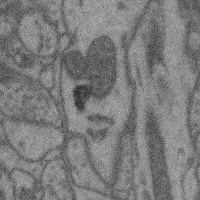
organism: Mouse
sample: Cerebral cortex